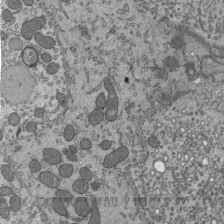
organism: Mouse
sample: Mouse epididymis efferent ductule cilia